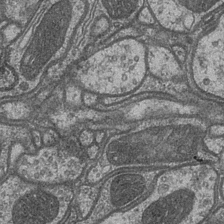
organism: Drosophila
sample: Optic medulla